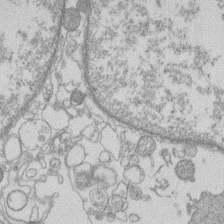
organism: Human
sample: Macrophage cells